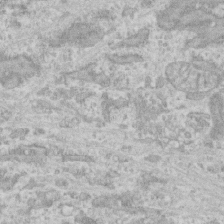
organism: Human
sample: CRL-1474